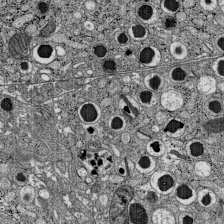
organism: C57BL Mouse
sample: Pancreatic islet